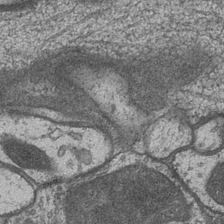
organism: Drosophila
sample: Optic medulla